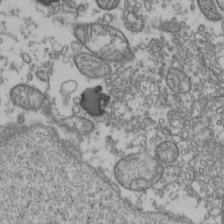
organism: Human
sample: Activated Jurkat CD4+ T cells